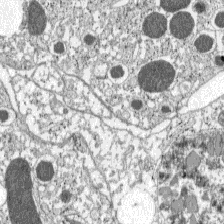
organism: C57BL Mouse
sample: Pancreatic islet